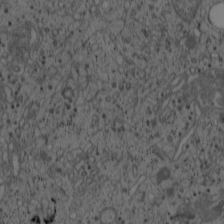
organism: African green monkey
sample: COS-7 cells